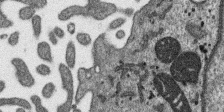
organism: Human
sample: Lung epithelial cells infected with SARS-CoV-2